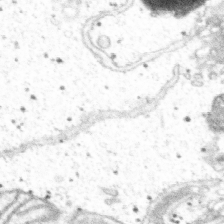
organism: Human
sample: HeLa cells